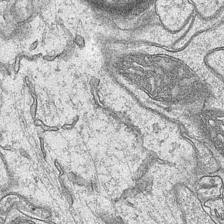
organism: Mouse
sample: CA1 Hippocampus